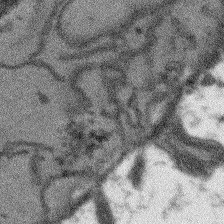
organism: Arabidopsis thaliana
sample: Root tip